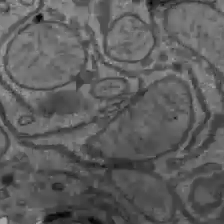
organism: C57BL Mouse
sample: Liver